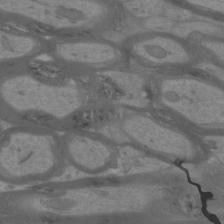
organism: Mouse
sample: Cortical neurons